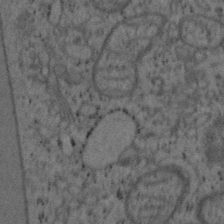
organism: Human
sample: HeLa cells